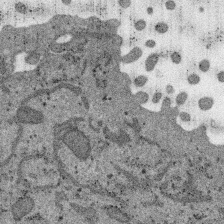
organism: Human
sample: Lung epithelial cells, uninfected (mock) control